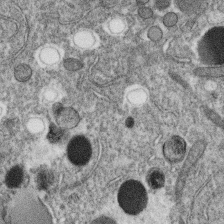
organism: C. elegans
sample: C. elegans oocyte; sperm cells